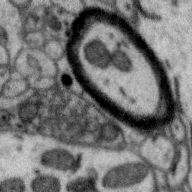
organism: Zebra finch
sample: Brain